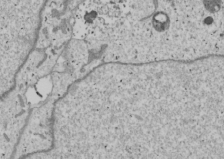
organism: Human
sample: Mitochondria in U2OS cells